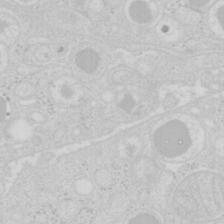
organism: Mouse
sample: Pancreas